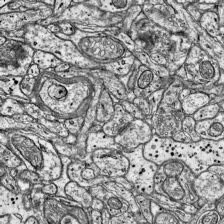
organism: Mouse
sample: Visual Cortex